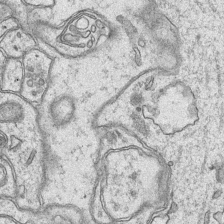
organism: Mouse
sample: CA1 Hippocampus